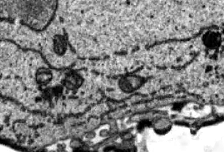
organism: Human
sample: HeLa cells